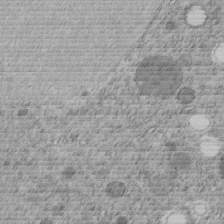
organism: C. elegans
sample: C. elegans embryo early stage